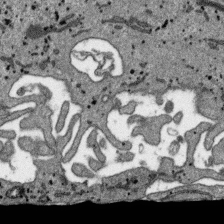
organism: Human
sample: Lung epithelial cells, uninfected (mock) control